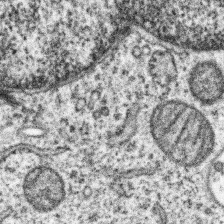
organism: Human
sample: HeLa cells